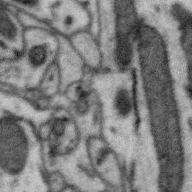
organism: Zebra finch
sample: Brain